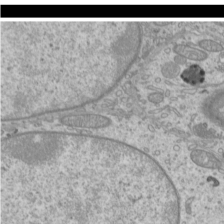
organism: Mouse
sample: Cilia; mouse epididymis